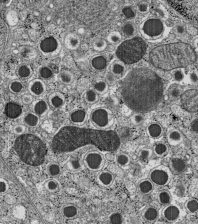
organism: C57BL Mouse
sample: Pancreatic islet